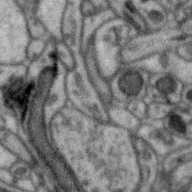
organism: Zebra finch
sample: Brain